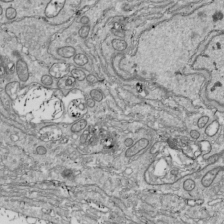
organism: Drosophila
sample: Cell division; meiosis; drosophila spermatocytes